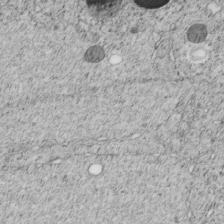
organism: C. elegans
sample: C. elegans embryo early stage